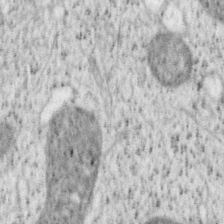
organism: Mouse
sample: OT-I killer T cells with ID8 ovarian cancer cells